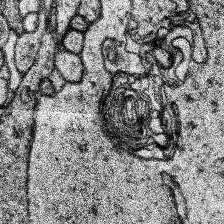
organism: Human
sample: Temporal Lobe